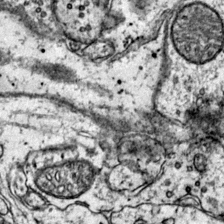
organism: Mouse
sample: Primary visual cortex